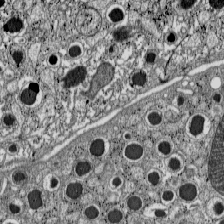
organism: C57BL Mouse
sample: Pancreatic islet